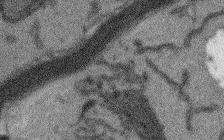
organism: Arabidopsis thaliana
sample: Root tip